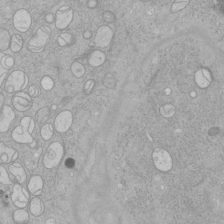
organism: Human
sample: Mitochondria in HCT116 cells